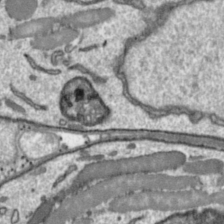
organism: Toxoplasma gondii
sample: Parasites in a vacuole inside a host cell